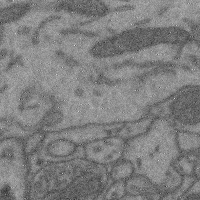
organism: Mouse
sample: Cerebral cortex